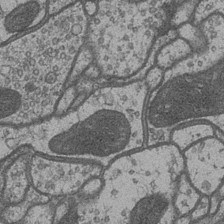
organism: Drosophila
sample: Optic medulla